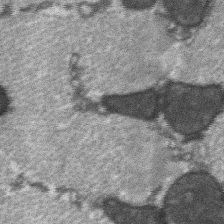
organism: C57BL Mouse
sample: Soleus